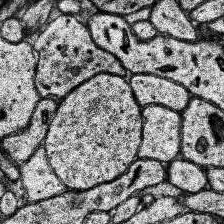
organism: Human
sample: Temporal Lobe